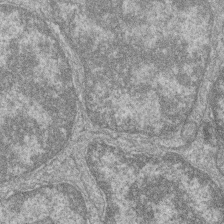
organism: Zebrafish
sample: Cilia; retinal pigment epithelium